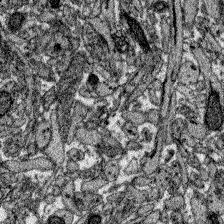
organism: Zebrafish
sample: Larval olfactory bulb